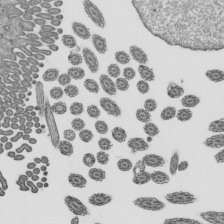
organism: Mouse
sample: Mouse epididymis efferent ductule cilia